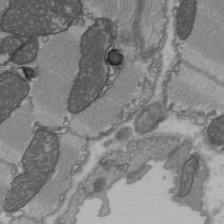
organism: C57BL Mouse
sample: Heart